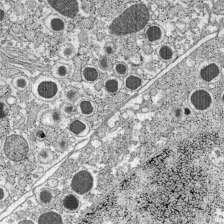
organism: C57BL Mouse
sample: Pancreatic islet